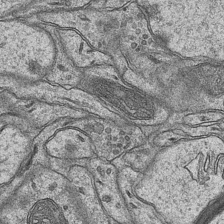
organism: Mouse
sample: CA1 Hippocampus